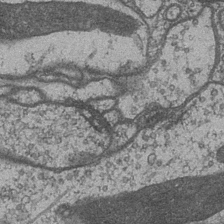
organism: Drosophila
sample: Optic medulla